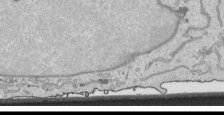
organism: Human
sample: Mitochondria in HCT116 cells